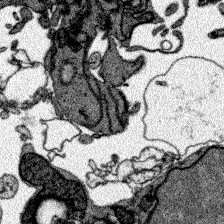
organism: Zebrafish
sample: Larval olfactory bulb